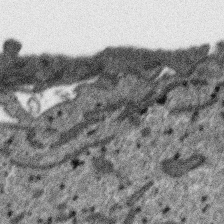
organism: Human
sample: Lung epithelial cells infected with SARS-CoV-2